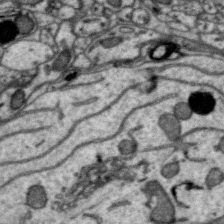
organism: Zebra finch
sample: Brain